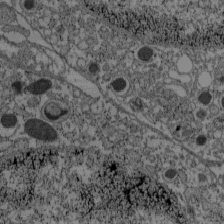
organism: C57BL Mouse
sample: Pancreatic islet